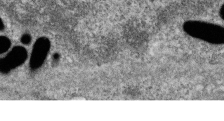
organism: Zebrafish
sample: Cilia; retinal pigment epithelium